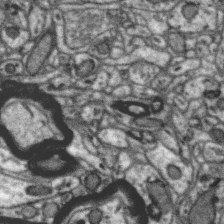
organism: Zebra finch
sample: Brain